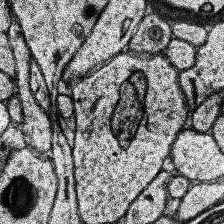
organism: Human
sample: Temporal Lobe